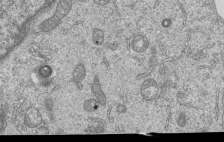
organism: Human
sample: MDA-MB-231 cells